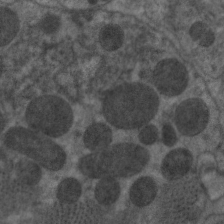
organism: C. elegans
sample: Pharynx